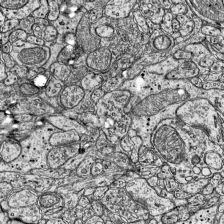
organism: Mouse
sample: Visual Cortex